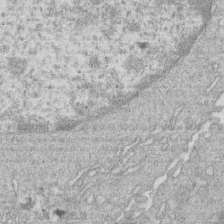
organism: Human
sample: Macrophage cells